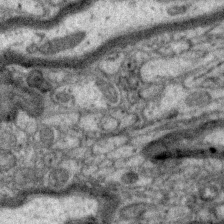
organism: Zebra finch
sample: Brain